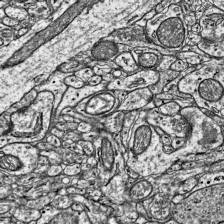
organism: Mouse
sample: Visual Cortex